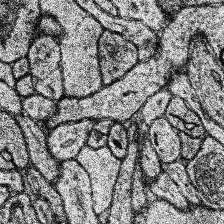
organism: Human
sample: Temporal Lobe